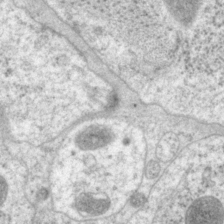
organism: P. pacificus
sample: Pharynx